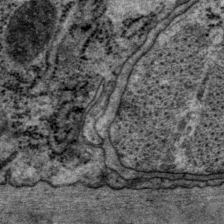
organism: P. pacificus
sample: Pharynx